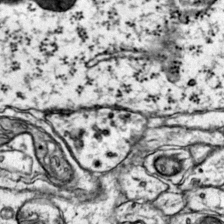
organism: Mouse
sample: Primary visual cortex